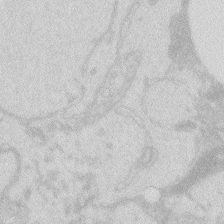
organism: Zebrafish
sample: Macrophage